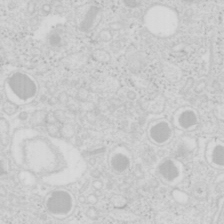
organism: Mouse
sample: Pancreas